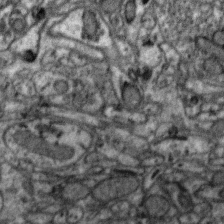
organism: Zebra finch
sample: Brain